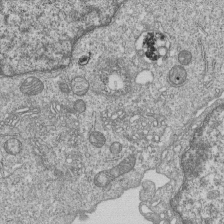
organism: Human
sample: MDA-MB-231 cells